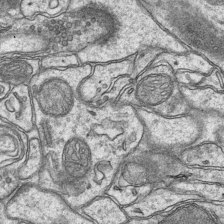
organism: Mouse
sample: CA1 Hippocampus